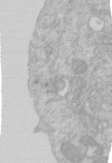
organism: Human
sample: Centriole in RPE cells